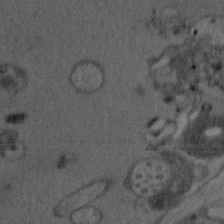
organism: Human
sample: HeLa cells